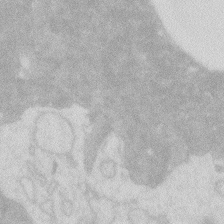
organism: Zebrafish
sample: Macrophage